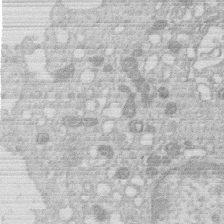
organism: Human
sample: Macrophage cells